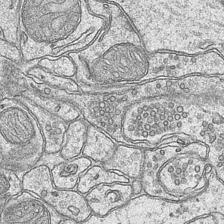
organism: Mouse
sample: CA1 Hippocampus